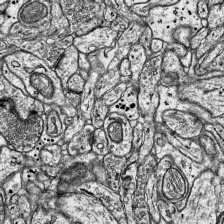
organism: Mouse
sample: Visual Cortex